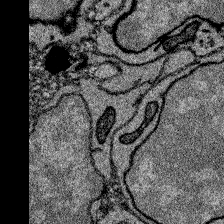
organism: Zebrafish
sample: Larval olfactory bulb